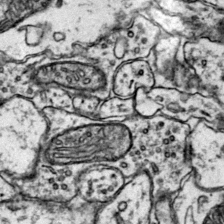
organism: Mouse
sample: Primary visual cortex